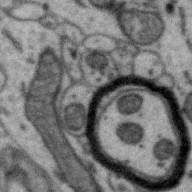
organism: Zebra finch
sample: Brain